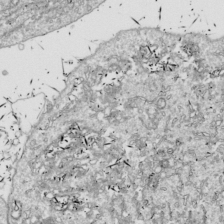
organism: Drosophila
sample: Cell division; meiosis; drosophila spermatocytes